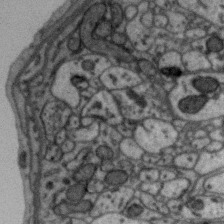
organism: Zebra finch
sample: Brain